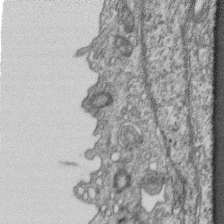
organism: Mouse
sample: Centriole in ependymal cells